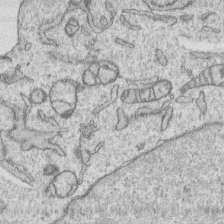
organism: Human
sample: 1205lu cells